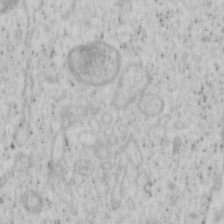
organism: Human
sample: HeLa cells